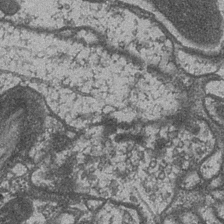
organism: Drosophila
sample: Optic medulla